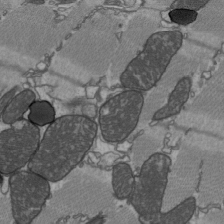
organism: C57BL Mouse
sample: Heart